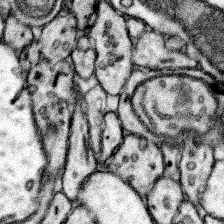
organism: Mouse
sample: Somatosensory cortex neuropil